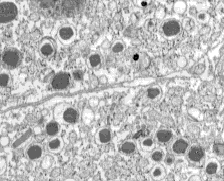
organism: C57BL Mouse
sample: Pancreatic islet